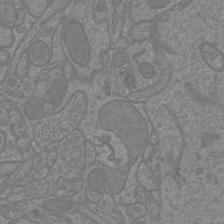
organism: Mouse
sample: Cortical neurons